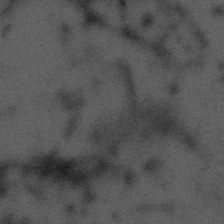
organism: Tuwongella immobilis